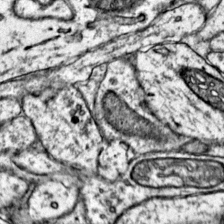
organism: Mouse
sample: Primary visual cortex